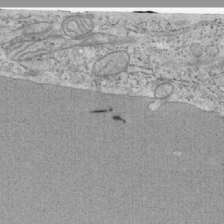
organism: Human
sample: HeLa cells